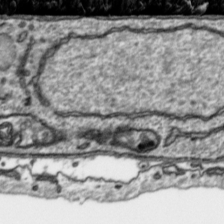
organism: Toxoplasma gondii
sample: Parasites in a vacuole inside a host cell